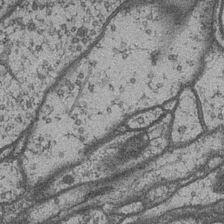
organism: Drosophila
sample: Optic medulla